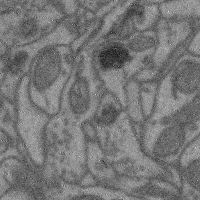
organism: Mouse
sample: Cerebral cortex